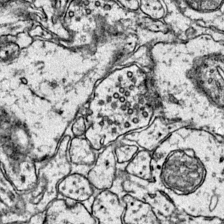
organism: Mouse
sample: Primary visual cortex